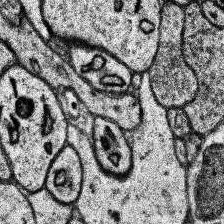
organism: Human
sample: Temporal Lobe